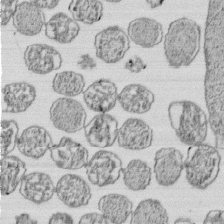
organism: E. coli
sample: Bacterial nucleoid